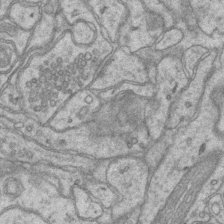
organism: Mouse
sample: CA1 Hippocampus